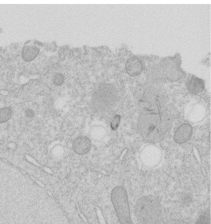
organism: C. elegans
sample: C. elegans embryo early stage